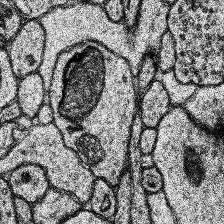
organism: Human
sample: Temporal Lobe